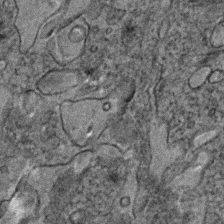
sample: Trachea